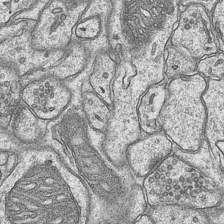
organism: Mouse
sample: CA1 Hippocampus